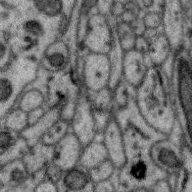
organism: Zebra finch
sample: Brain